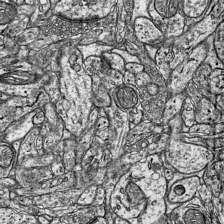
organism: Mouse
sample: Visual Cortex